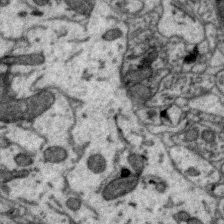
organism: Zebra finch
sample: Brain